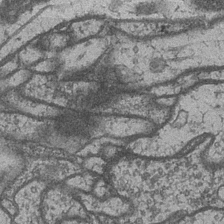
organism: Drosophila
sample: Optic medulla